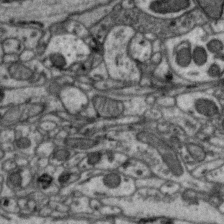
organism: Zebra finch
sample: Brain